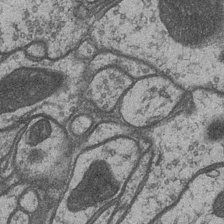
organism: Drosophila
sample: Optic medulla